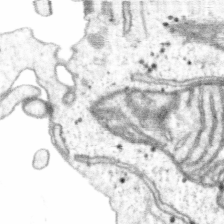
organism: Human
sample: HeLa cells